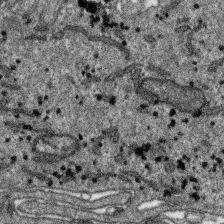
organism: Human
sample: Lung epithelial cells infected with SARS-CoV-2